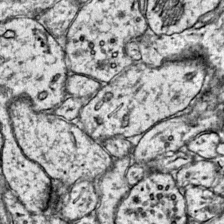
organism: Mouse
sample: Primary visual cortex